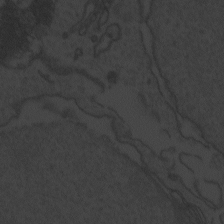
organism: Zebrafish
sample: Macrophage infected with Toxoplasma gondii